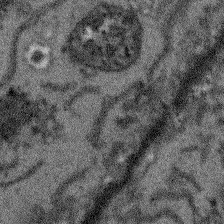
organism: Arabidopsis thaliana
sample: Root tip